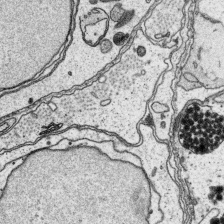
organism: Platynereis dumerilii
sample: Parapodia